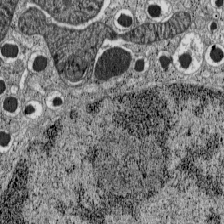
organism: C57BL Mouse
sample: Pancreatic islet